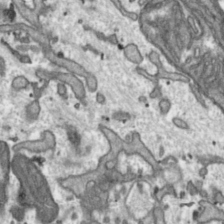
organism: Toxoplasma gondii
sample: Parasites in a vacuole inside a host cell